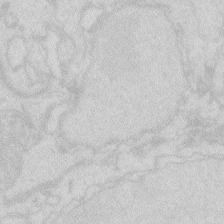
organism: Zebrafish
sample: Macrophage